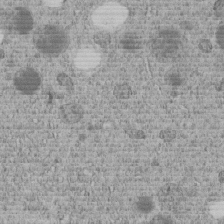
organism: C. elegans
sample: C. elegans embryo early stage